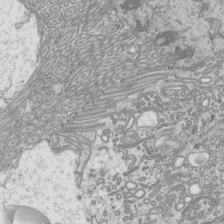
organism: Mouse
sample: Cilia; mouse epididymis